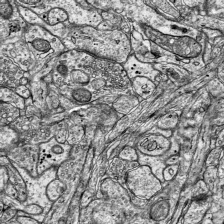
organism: Mouse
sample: Visual Cortex